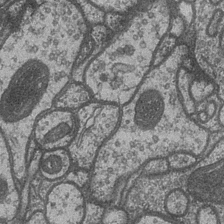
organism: Drosophila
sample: Optic medulla